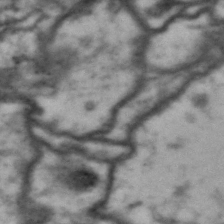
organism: Drosophila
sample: Brain